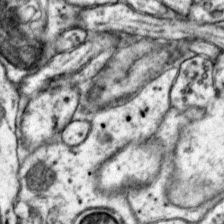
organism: Mouse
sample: Primary visual cortex